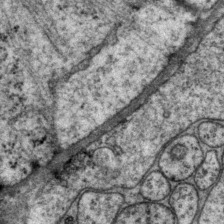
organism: P. pacificus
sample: Pharynx